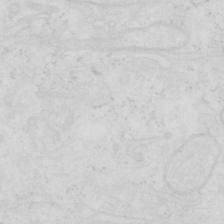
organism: Human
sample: SUM-159 cell